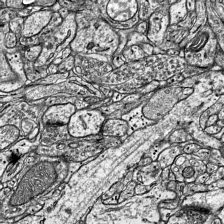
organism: Mouse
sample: Visual Cortex